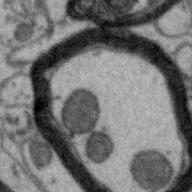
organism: Zebra finch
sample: Brain